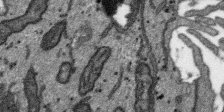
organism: Human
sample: Lung epithelial cells, uninfected (mock) control